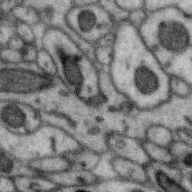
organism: Zebra finch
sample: Brain